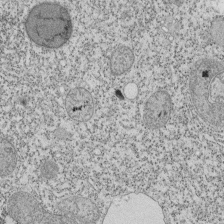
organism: Tetrahymena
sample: Cilia in tetrahymena